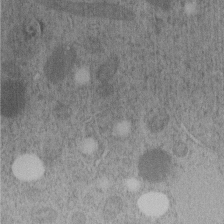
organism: C. elegans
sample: C. elegans embryo early stage